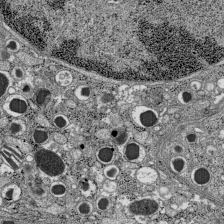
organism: C57BL Mouse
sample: Pancreatic islet